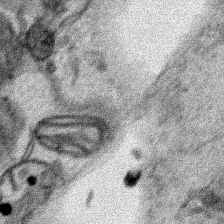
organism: Human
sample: Mitochondria in HCT116 cells